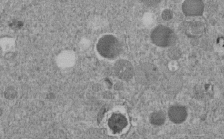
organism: C. elegans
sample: C. elegans embryo early stage